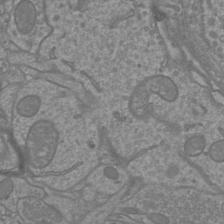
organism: Mouse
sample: Cortical neurons